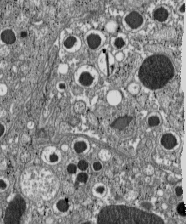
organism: C57BL Mouse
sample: Pancreatic islet